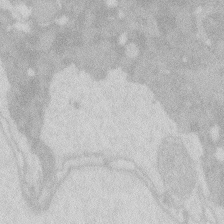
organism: Zebrafish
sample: Macrophage